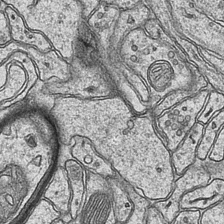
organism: Mouse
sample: CA1 Hippocampus